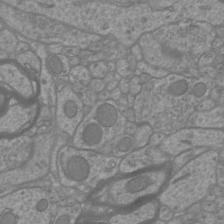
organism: Mouse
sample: Cortical neurons